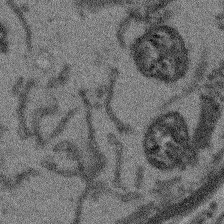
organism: Arabidopsis thaliana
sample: Root tip